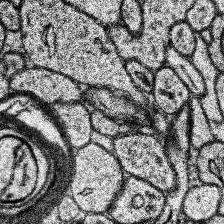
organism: Human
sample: Temporal Lobe